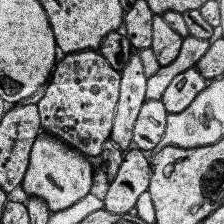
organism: Human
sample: Temporal Lobe